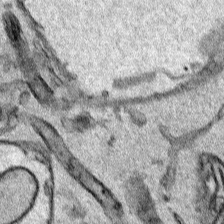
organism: Human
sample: Mitochondria in HCT116 cells